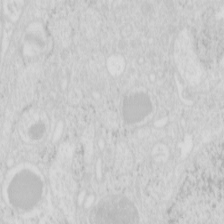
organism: Mouse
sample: Pancreas